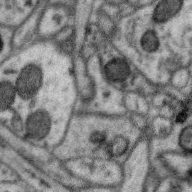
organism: Zebra finch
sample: Brain